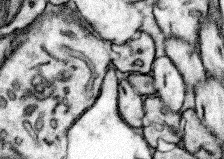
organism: Mouse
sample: Somatosensory cortex neuropil